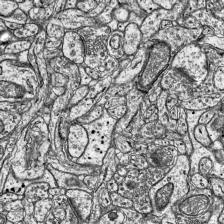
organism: Mouse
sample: Visual Cortex